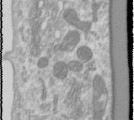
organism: Human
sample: Cilia; basal body in RPE cells